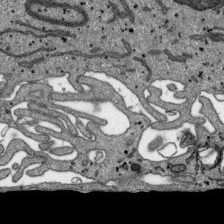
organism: Human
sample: Lung epithelial cells, uninfected (mock) control